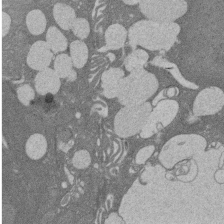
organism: Rat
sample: Salivary granule